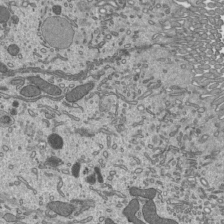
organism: Mouse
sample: Mouse epididymis efferent ductule cilia